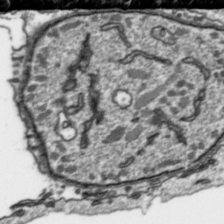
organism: Toxoplasma gondii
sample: Parasites in a vacuole inside a host cell